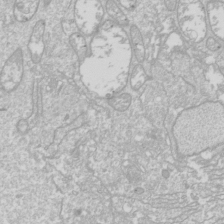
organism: Drosophila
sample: Cell division; meiosis; drosophila spermatocytes